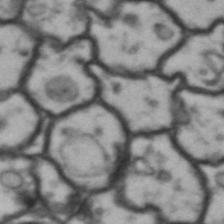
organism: Drosophila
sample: Brain